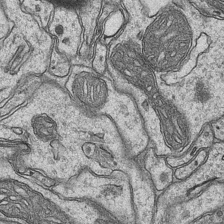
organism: Mouse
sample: CA1 Hippocampus